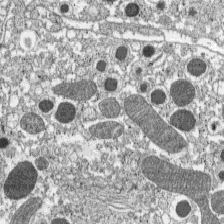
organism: C57BL Mouse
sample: Pancreatic islet